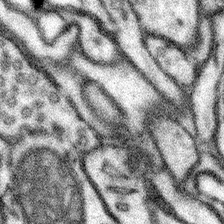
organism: Mouse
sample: Somatosensory cortex neuropil